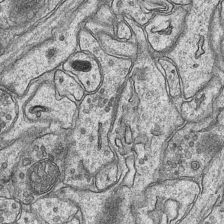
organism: Mouse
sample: CA1 Hippocampus